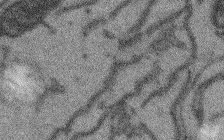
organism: Arabidopsis thaliana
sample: Root tip